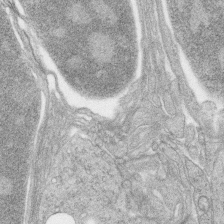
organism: Zebrafish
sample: synaptic ribbons in rod cells and cone cells